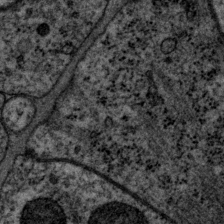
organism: P. pacificus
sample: Pharynx